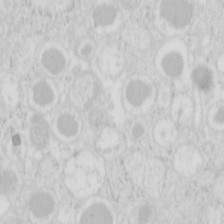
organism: Mouse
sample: Pancreas